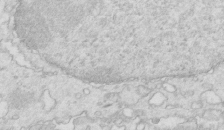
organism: Mouse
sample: Multiciliated cells